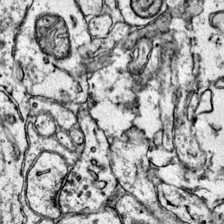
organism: Mouse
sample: Primary visual cortex